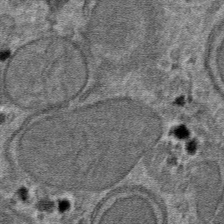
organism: Mouse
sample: Mouse hepatocytes